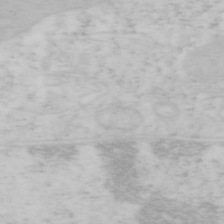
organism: Mouse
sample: OT-I killer T cells with ID8 ovarian cancer cells